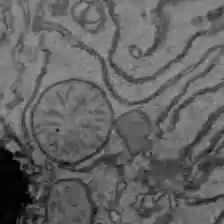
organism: C57BL Mouse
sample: Liver